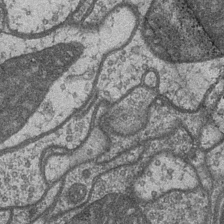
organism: Drosophila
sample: Optic medulla